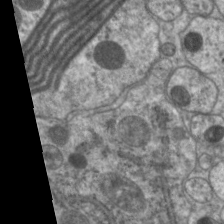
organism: C. elegans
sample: Pharynx